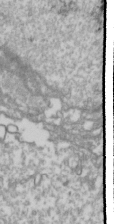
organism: Drosophila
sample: Cell division; meiosis; drosophila spermatocytes